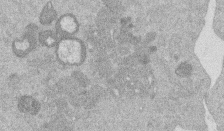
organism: Mouse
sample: Dividing mouse embryo 1 cell stage